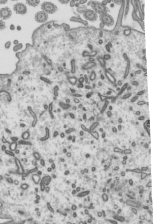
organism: Mouse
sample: Mouse epididymis efferent ductule cilia